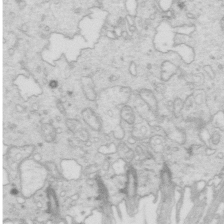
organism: Mouse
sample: Multiciliated cells